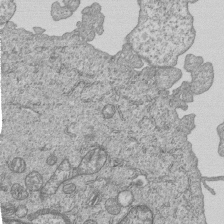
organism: Human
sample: MDA-MB-231 cells